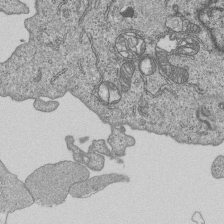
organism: Human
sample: MDA-MB-231 cells